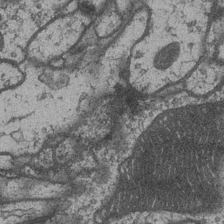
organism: Drosophila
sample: Optic medulla